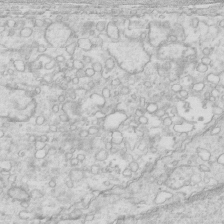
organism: Mouse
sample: Multiciliated cells